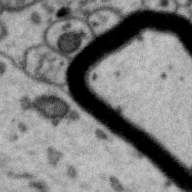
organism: Zebra finch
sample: Brain